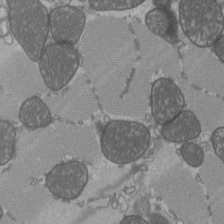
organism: C57BL Mouse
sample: Heart